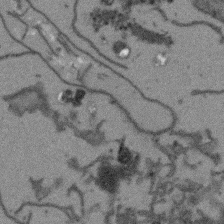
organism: Arabidopsis thaliana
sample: Root tip